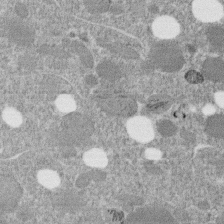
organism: C. elegans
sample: C. elegans embryo early stage